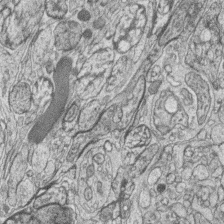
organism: Zebrafish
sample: synaptic ribbons in rod cells and cone cells